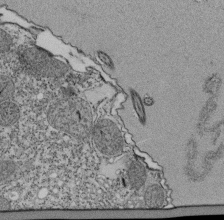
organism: Tetrahymena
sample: Cilia in tetrahymena